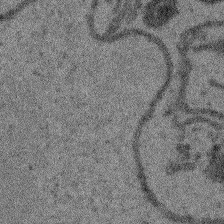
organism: Arabidopsis thaliana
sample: Root tip